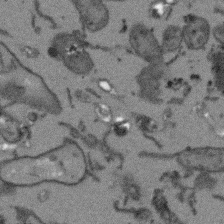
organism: Arabidopsis thaliana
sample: Root tip